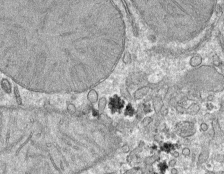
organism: Mouse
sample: Mouse hepatocytes